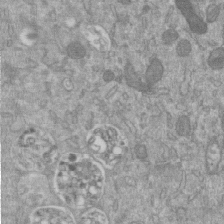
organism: Mouse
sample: ED-1 cell nuclei; centrioles